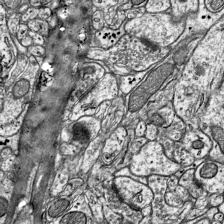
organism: Mouse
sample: Visual Cortex